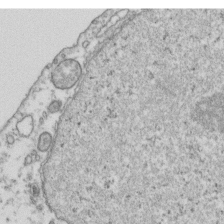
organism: Human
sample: Activated Jurkat CD4+ T cells